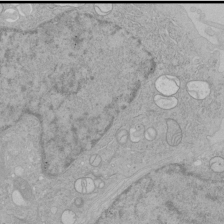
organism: Human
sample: Mitochondria in HCT116 cells